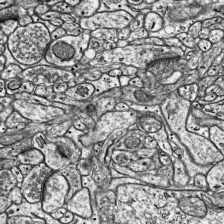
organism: Mouse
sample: Visual Cortex